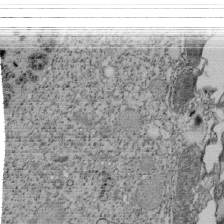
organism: Tetrahymena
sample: Cilia in tetrahymena